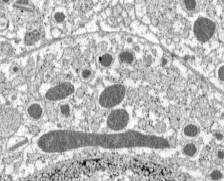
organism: C57BL Mouse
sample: Pancreatic islet